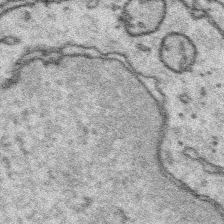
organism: Platynereis dumerilii